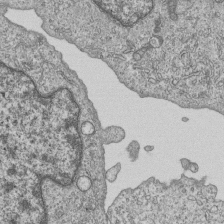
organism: Human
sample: MDA-MB-231 cells